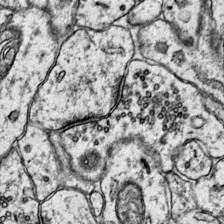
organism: Mouse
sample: Primary visual cortex